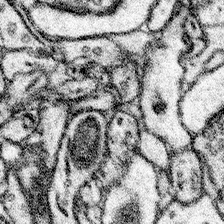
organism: Mouse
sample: Somatosensory cortex neuropil